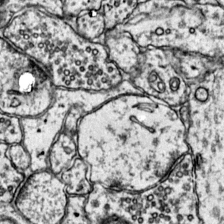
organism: Mouse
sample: Primary visual cortex